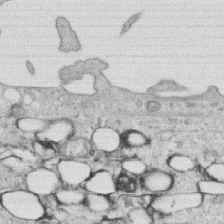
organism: Human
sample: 1205lu cells